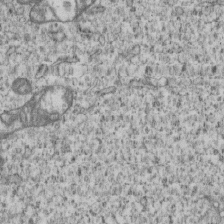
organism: Human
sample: MDA-MB-231 cells